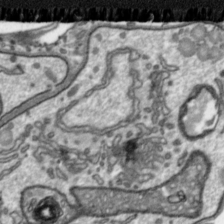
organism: Toxoplasma gondii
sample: Parasites in a vacuole inside a host cell